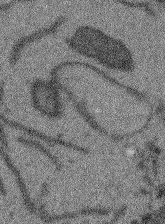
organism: Arabidopsis thaliana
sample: Root tip